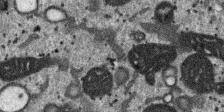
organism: Human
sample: Lung epithelial cells infected with SARS-CoV-2